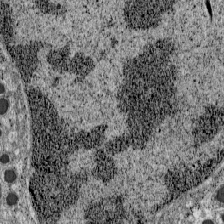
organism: C57BL Mouse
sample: Pancreatic islet